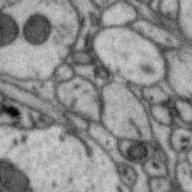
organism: Zebra finch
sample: Brain